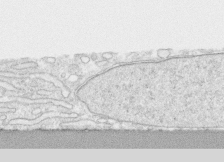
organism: Human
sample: CRL-1474